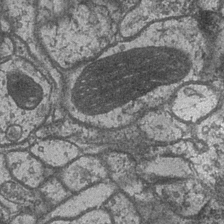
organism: Drosophila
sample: Optic medulla